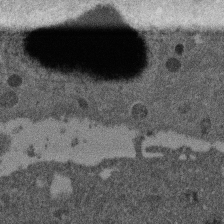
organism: Mouse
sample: Dividing mouse embryo 1 cell stage